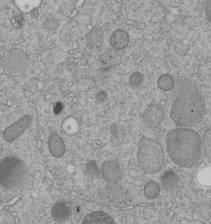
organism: C. elegans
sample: C. elegans embryo early stage